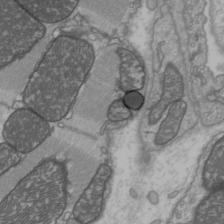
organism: C57BL Mouse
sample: Heart